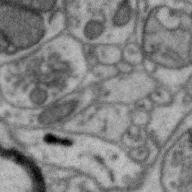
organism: Zebra finch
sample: Brain